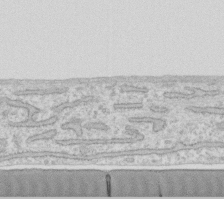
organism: Human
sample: Fibroblast cells